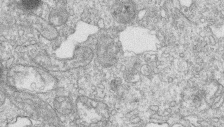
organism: Human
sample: HeLa cell HIV synapse